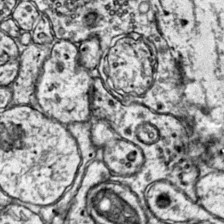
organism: Mouse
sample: Primary visual cortex